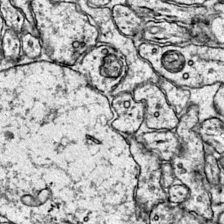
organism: Mouse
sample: Primary visual cortex